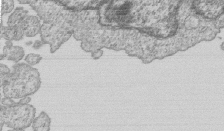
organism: Human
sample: MDA-MB-231 cells